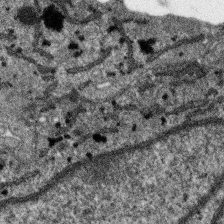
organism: Human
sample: Lung epithelial cells infected with SARS-CoV-2